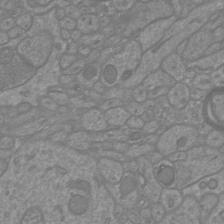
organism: Mouse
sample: Cortical neurons